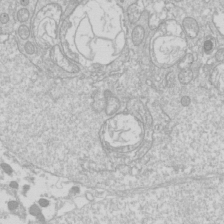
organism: Drosophila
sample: Cell division; meiosis; drosophila spermatocytes